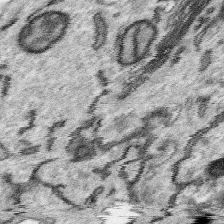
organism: Human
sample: HeLa cells